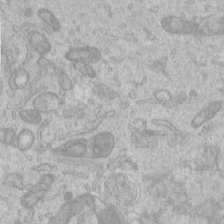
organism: Human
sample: Centriole in RPE cells